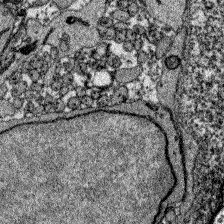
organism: Zebrafish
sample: Larval olfactory bulb